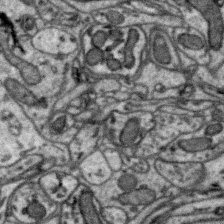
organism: Zebra finch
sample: Brain